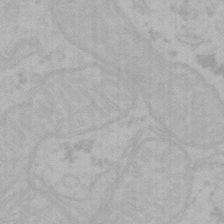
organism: Mouse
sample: Choroid plexus